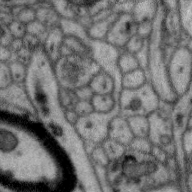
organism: Zebra finch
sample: Brain